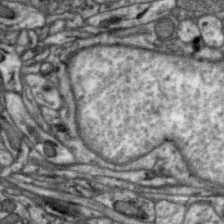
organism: Zebra finch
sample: Brain